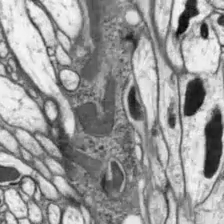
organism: Drosophila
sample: Optic lobe